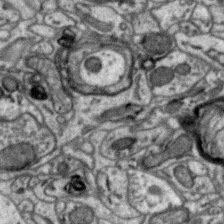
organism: Zebra finch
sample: Brain